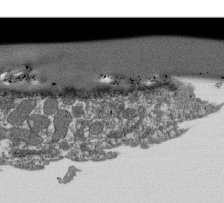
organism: Dictyostelium discoideum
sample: Dictyostelium multivesicular bodies